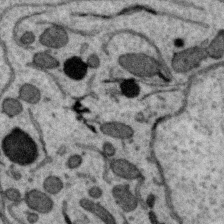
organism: Zebra finch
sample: Brain